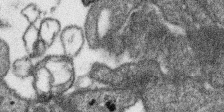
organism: Human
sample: Lung epithelial cells infected with SARS-CoV-2